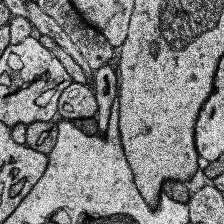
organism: Human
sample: Temporal Lobe